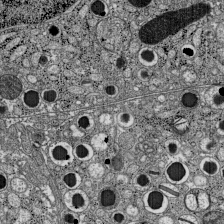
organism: C57BL Mouse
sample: Pancreatic islet